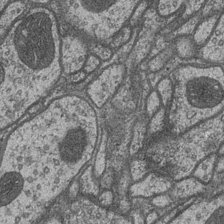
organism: Drosophila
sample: Optic medulla